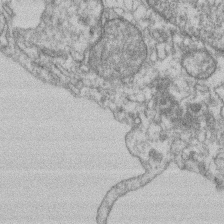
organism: Mouse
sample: T cell stromal cell synapse